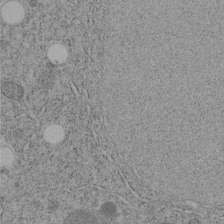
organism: C. elegans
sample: C. elegans embryo early stage